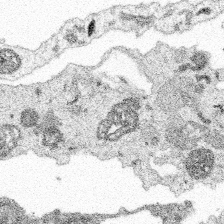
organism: Spongilla lacustris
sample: Multiple